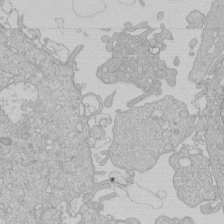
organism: Human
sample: Macrophage cells